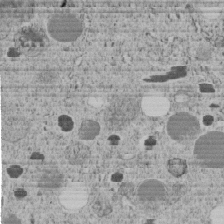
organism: C. elegans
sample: C. elegans embryo early stage